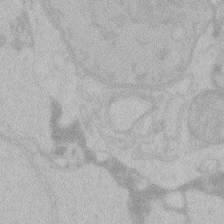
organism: Zebrafish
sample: Macrophage infected with Toxoplasma gondii